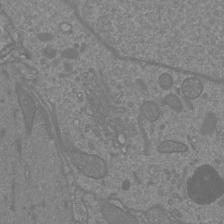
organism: Mouse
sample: Cortical neurons